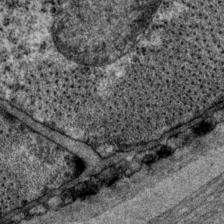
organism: P. pacificus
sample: Pharynx